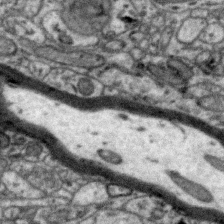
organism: Zebra finch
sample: Brain